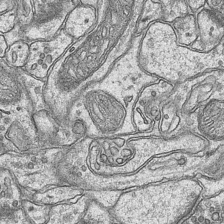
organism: Mouse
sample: CA1 Hippocampus